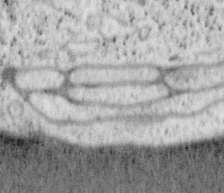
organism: Mouse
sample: OT-I killer T cells with ID8 ovarian cancer cells